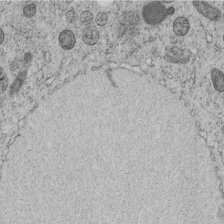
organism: C. elegans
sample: C. elegans embryo early stage